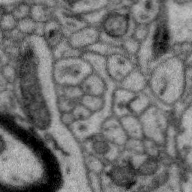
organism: Zebra finch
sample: Brain